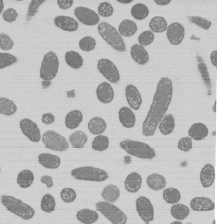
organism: E. coli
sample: Bacterial nucleoid